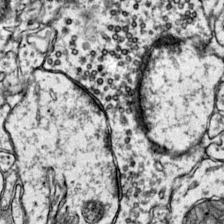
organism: Mouse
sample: Primary visual cortex